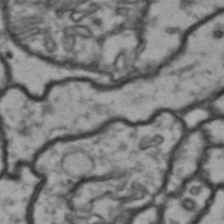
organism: Drosophila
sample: Brain